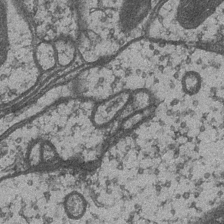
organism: Drosophila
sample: Optic medulla